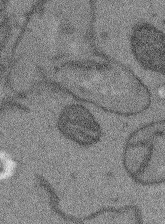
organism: Arabidopsis thaliana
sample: Root tip